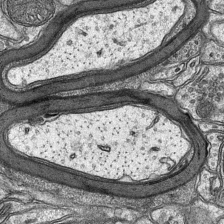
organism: Mouse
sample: CA1 Hippocampus